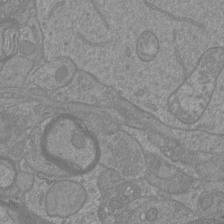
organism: Mouse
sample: Cortical neurons